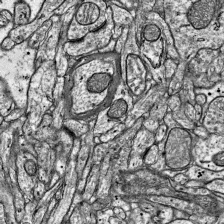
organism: Mouse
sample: Visual Cortex